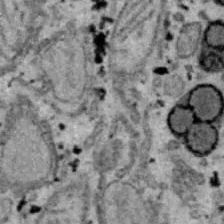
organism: Mouse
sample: Liver from an obese (ob/ob) mouse